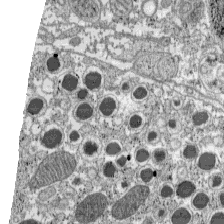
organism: C57BL Mouse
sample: Pancreatic islet